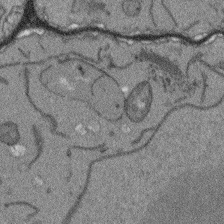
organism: Arabidopsis thaliana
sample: Root tip